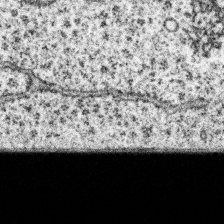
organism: Human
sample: HeLa cells